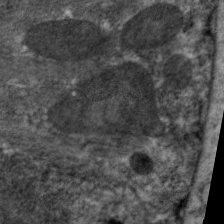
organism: C. elegans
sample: Pharynx